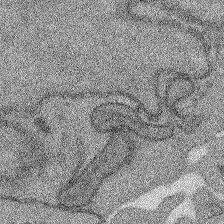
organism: Human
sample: HeLa cells